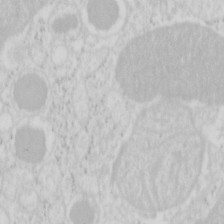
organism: Mouse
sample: Pancreas